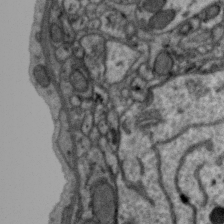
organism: Zebra finch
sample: Brain